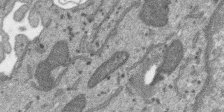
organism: Human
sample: Lung epithelial cells infected with SARS-CoV-2